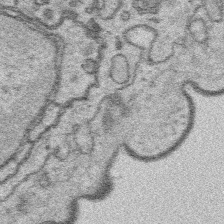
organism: Platynereis dumerilii